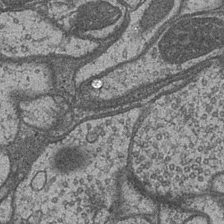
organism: Drosophila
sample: Optic medulla